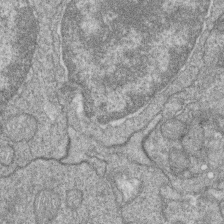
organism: Zebrafish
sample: Cilia; retinal pigment epithelium